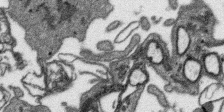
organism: Human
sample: Lung epithelial cells infected with SARS-CoV-2